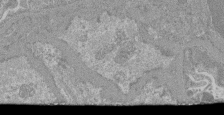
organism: Mouse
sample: Glomerulus